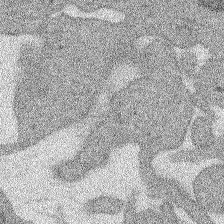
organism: Human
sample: HeLa cells